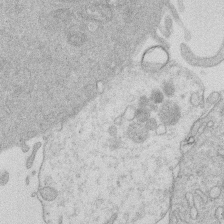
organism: Human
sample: Macrophage cells